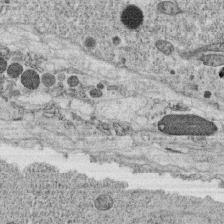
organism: C. elegans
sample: C. elegans oocyte; sperm cells